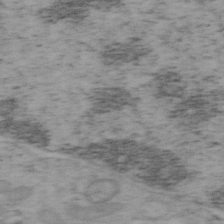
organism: Mouse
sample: OT-I killer T cells with ID8 ovarian cancer cells